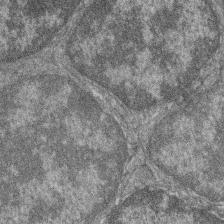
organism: Zebrafish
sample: Cilia; retinal pigment epithelium